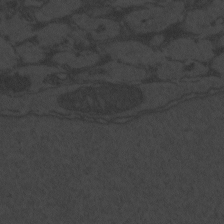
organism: Zebrafish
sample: Macrophage infected with Toxoplasma gondii